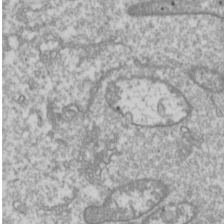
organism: Drosophila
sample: Cell division; meiosis; drosophila spermatocytes